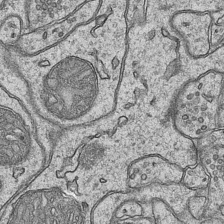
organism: Mouse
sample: CA1 Hippocampus